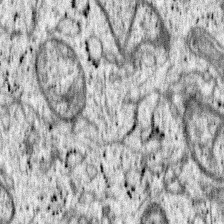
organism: Human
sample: HeLa cells